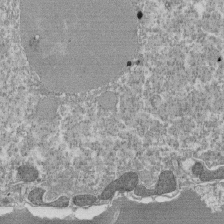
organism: Tetrahymena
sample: Cilia in tetrahymena